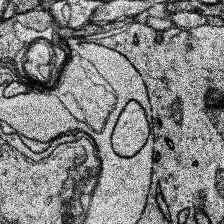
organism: Human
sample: Temporal Lobe